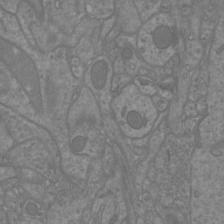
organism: Mouse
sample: Cortical neurons